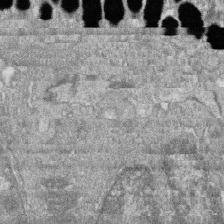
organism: Zebrafish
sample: Cilia; retinal pigment epithelium